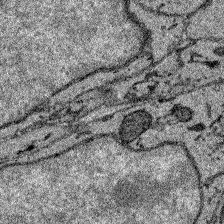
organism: Zebrafish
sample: Larval olfactory bulb